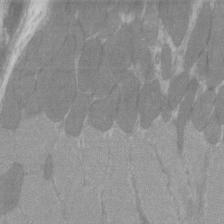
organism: C57BL Mouse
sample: Tibialis anterior muscle cell